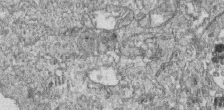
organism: Human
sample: HeLa cell HIV synapse